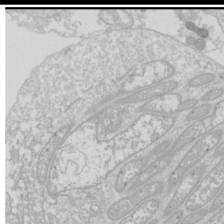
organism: Drosophila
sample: Cell division; meiosis; drosophila spermatocytes